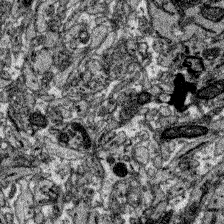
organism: Zebrafish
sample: Larval olfactory bulb